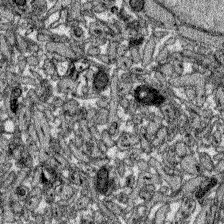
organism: Zebrafish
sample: Larval olfactory bulb